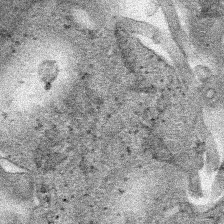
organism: Human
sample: Mitochondria in HCT116 cells